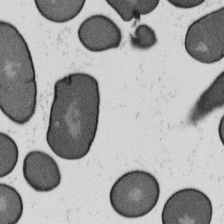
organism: B. subtilis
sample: Bacterial spore